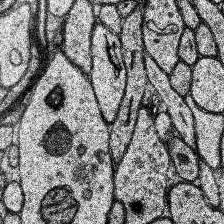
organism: Human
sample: Temporal Lobe